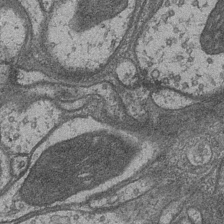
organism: Drosophila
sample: Optic medulla